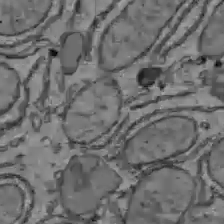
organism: C57BL Mouse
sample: Liver